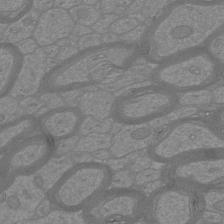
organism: Mouse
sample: Cortical neurons